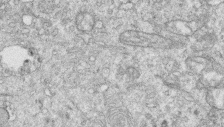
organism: Human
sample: HeLa cell HIV synapse